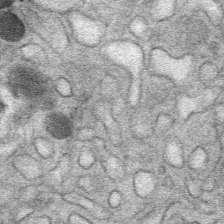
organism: Mouse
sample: Mouse Salivary gland